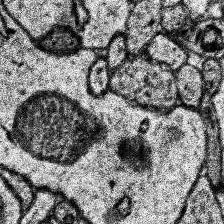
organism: Human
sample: Temporal Lobe